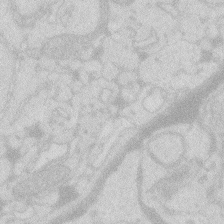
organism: Zebrafish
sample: Macrophage